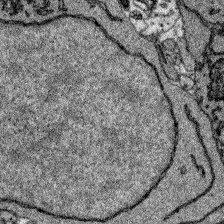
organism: Zebrafish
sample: Larval olfactory bulb